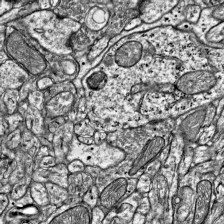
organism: Mouse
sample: Visual Cortex